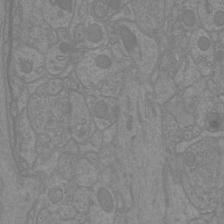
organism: Mouse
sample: Cortical neurons